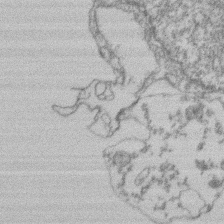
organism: Mouse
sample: T cell stromal cell synapse